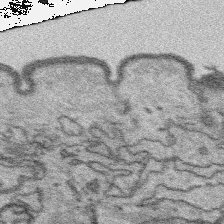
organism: Platynereis dumerilii